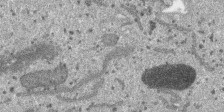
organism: Human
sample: Lung epithelial cells infected with SARS-CoV-2